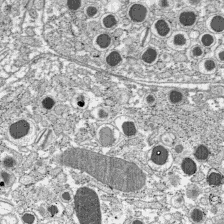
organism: C57BL Mouse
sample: Pancreatic islet